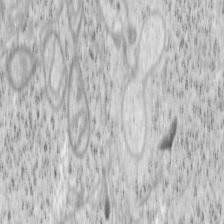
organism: Human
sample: HeLa cells